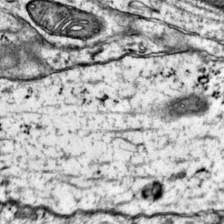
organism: Mouse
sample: Primary visual cortex